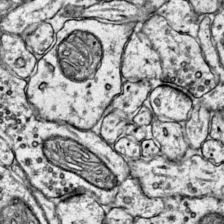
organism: Mouse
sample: Primary visual cortex